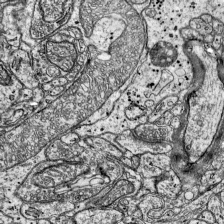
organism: Mouse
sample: Visual Cortex